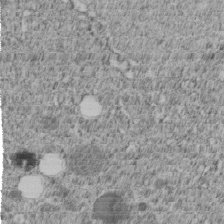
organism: C. elegans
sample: C. elegans embryo early stage